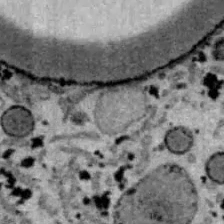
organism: Mouse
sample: Liver from an obese (ob/ob) mouse